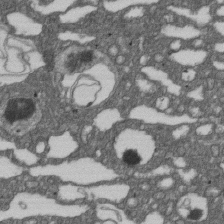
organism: Drosophila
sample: Nephrocyte